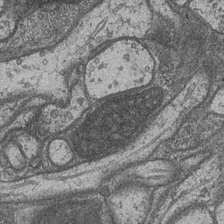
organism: Drosophila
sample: Optic medulla